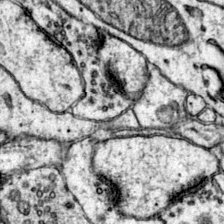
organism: Mouse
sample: Primary visual cortex